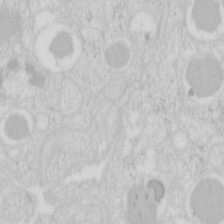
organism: Mouse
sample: Pancreas